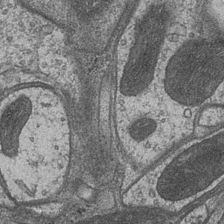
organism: Drosophila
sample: Optic medulla